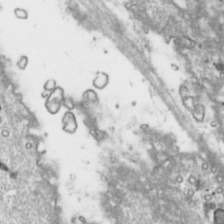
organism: Toxoplasma gondii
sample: Parasites in a vacuole inside a host cell